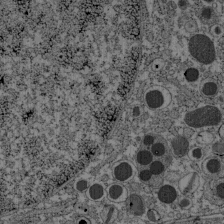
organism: C57BL Mouse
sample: Pancreatic islet